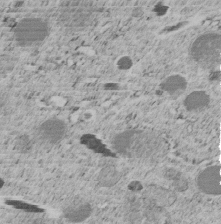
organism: C. elegans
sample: C. elegans embryo early stage